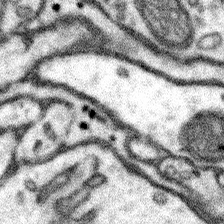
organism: Mouse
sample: Somatosensory cortex neuropil